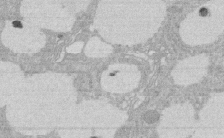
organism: Rat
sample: Salivary granule